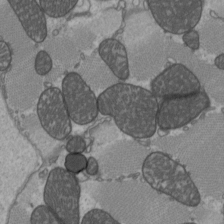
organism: C57BL Mouse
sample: Heart